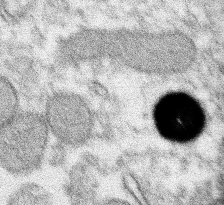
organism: Xenopus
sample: Cilia; centrioles in frog embryo cells